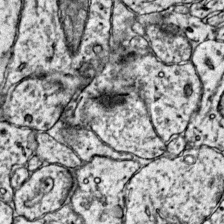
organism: Mouse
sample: Primary visual cortex